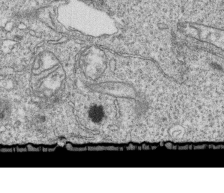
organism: Human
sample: HeLa cell HIV synapse